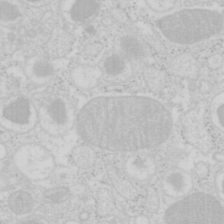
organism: Mouse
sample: Pancreas